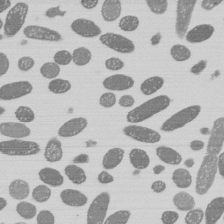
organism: E. coli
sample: Bacterial nucleoid